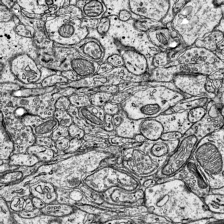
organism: Mouse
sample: Visual Cortex